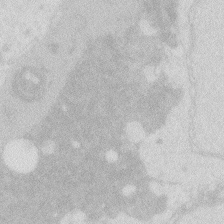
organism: Zebrafish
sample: Macrophage